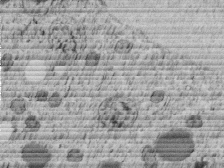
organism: C. elegans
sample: C. elegans embryo early stage